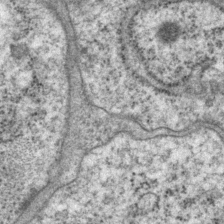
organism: P. pacificus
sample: Pharynx